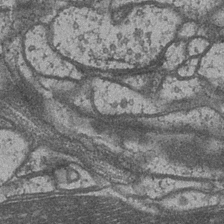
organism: Drosophila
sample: Optic medulla